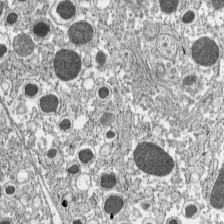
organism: C57BL Mouse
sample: Pancreatic islet